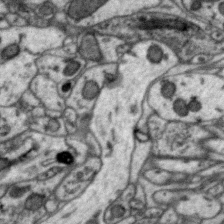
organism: Zebra finch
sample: Brain